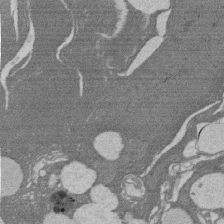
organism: Rat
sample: Salivary granule